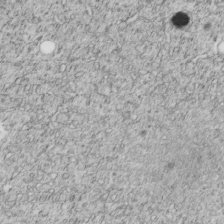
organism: C. elegans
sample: C. elegans embryo early stage